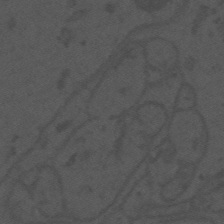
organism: Mouse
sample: Suprachiasmatic nucleus